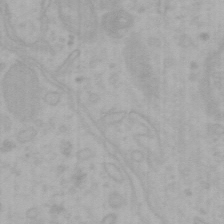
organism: Mouse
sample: Choroid plexus